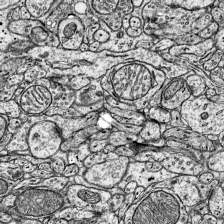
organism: Mouse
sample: Visual Cortex